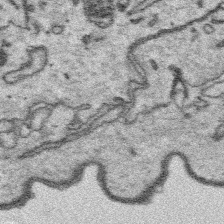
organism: Platynereis dumerilii